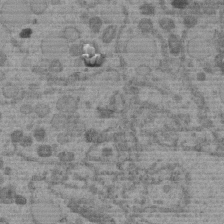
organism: C. elegans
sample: C. elegans embryo early stage